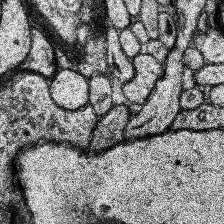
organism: Human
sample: Temporal Lobe